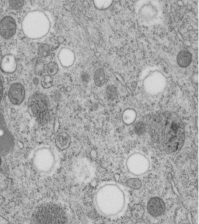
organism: C. elegans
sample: C. elegans embryo early stage